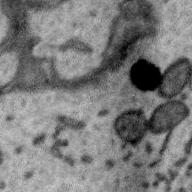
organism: Zebra finch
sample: Brain